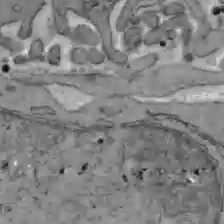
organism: C57BL Mouse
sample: Liver